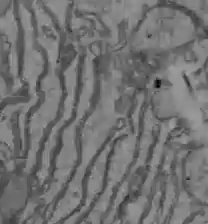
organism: C57BL Mouse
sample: Liver